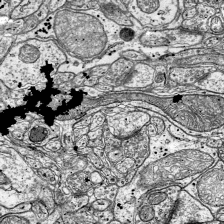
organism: Mouse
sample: Visual Cortex